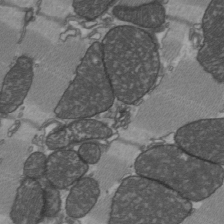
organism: C57BL Mouse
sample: Heart